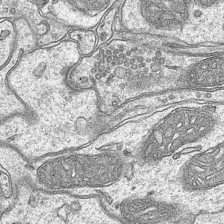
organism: Mouse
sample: CA1 Hippocampus